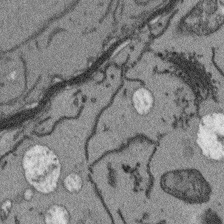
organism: Arabidopsis thaliana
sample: Root tip